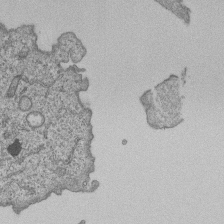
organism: Human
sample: MDA-MB-231 cells